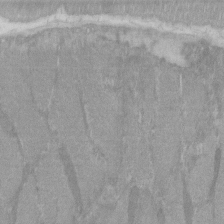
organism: C57BL Mouse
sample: Tibialis anterior muscle cell